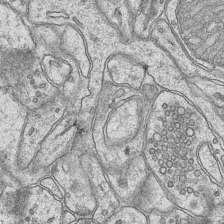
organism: Mouse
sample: CA1 Hippocampus